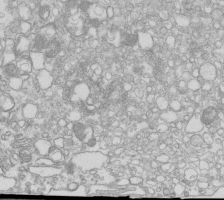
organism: Mouse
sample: Macrophages